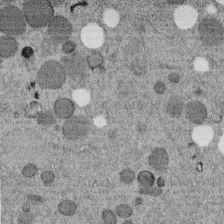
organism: C. elegans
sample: C. elegans embryo early stage